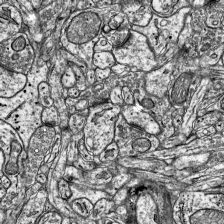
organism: Mouse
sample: Visual Cortex